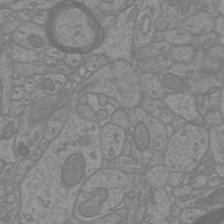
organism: Mouse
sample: Cortical neurons